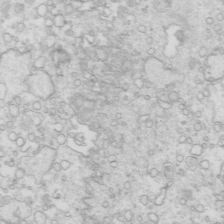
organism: Mouse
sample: Multiciliated cells